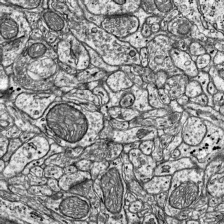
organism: Mouse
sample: Visual Cortex